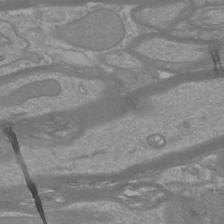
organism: Mouse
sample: Cortical neurons